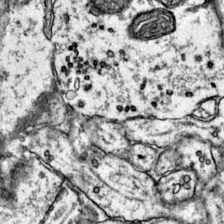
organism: Mouse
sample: Primary visual cortex